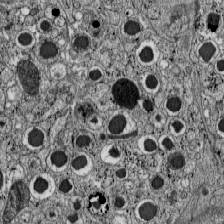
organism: C57BL Mouse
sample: Pancreatic islet